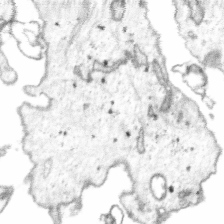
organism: Human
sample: HeLa cells